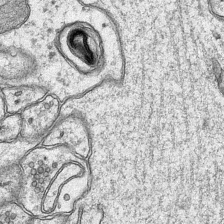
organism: Mouse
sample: CA1 Hippocampus